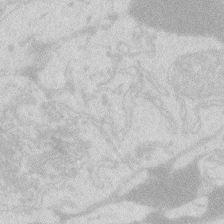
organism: Zebrafish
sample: Macrophage